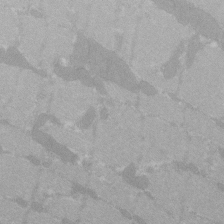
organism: C57BL Mouse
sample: Tibialis anterior muscle cell